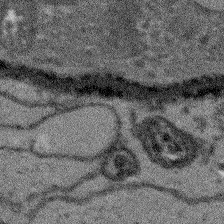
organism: Arabidopsis thaliana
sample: Root tip